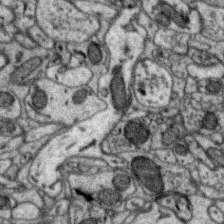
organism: Zebra finch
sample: Brain